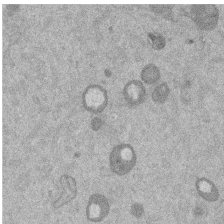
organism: Mouse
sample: Dividing mouse embryo 1 cell stage